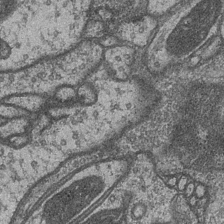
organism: Drosophila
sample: Optic medulla